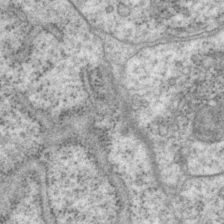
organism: P. pacificus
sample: Pharynx